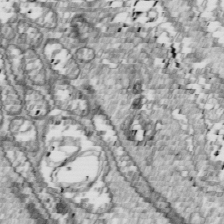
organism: Drosophila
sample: Cell division; meiosis; drosophila spermatocytes